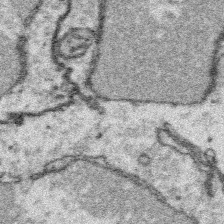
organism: Platynereis dumerilii